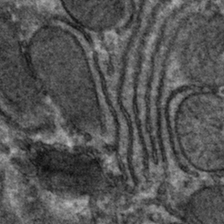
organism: Mouse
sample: Mouse hepatocytes